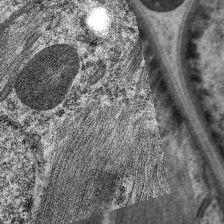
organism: C. elegans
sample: Pharynx